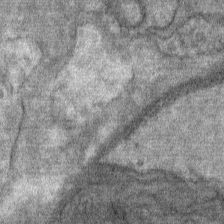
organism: Mouse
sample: Mouse Salivary gland